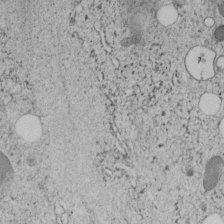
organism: C. elegans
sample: C. elegans embryo early stage